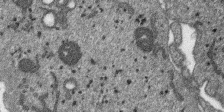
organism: Human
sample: Lung epithelial cells infected with SARS-CoV-2